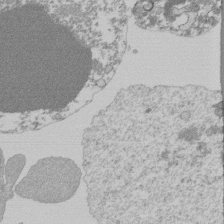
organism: Mouse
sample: Activated Pmel transgenic CD8+ T Cells